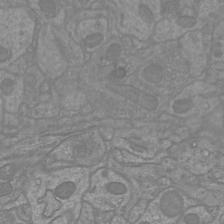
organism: Mouse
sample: Cortical neurons